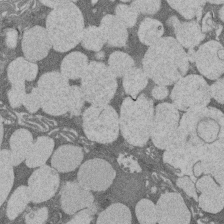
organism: Rat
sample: Salivary granule